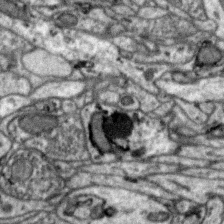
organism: Zebra finch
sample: Brain